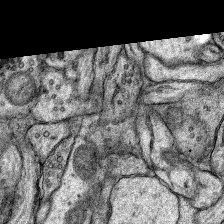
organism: Rat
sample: Hippocampus